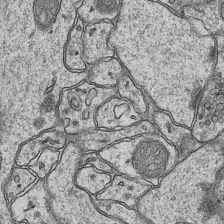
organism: Mouse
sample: CA1 Hippocampus